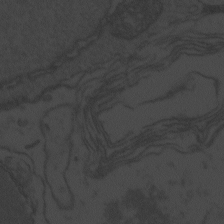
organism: Zebrafish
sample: Macrophage infected with Toxoplasma gondii